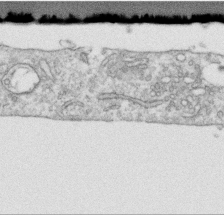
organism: Human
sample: Centriole in RPE cells